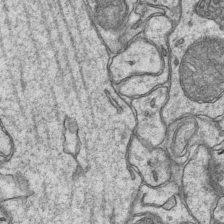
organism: Mouse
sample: CA1 Hippocampus